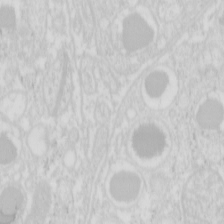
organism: Mouse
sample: Pancreas